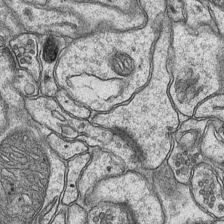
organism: Mouse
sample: CA1 Hippocampus